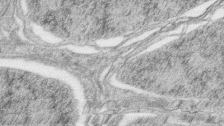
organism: Zebrafish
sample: synaptic ribbons in rod cells and cone cells